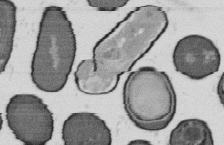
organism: B. subtilis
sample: Bacterial spore